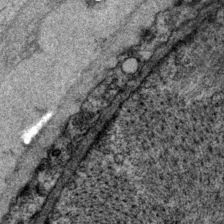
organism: P. pacificus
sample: Pharynx